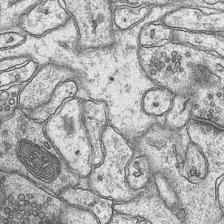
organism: Mouse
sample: CA1 Hippocampus